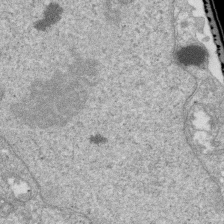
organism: Human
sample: HeLa cell HIV synapse